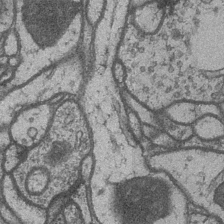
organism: Drosophila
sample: Optic medulla